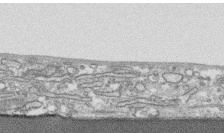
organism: Human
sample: CRL-1474